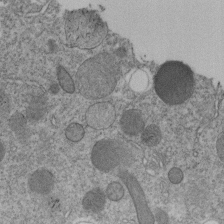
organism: C. elegans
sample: C. elegans embryo early stage